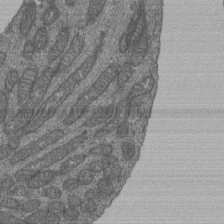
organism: Human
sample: Retinal organoid Rod and Cone cells